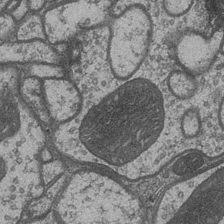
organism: Drosophila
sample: Optic medulla